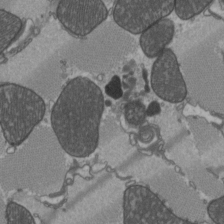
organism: C57BL Mouse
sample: Heart